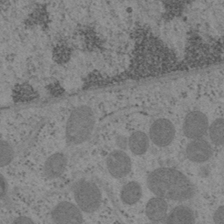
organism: Mouse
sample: OT-I killer T cells with ID8 ovarian cancer cells